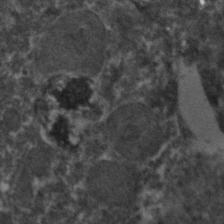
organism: Zebrafish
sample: Zebrafish embryo